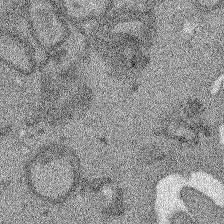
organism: Human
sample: HeLa cells